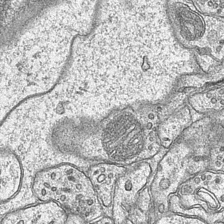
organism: Mouse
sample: CA1 Hippocampus